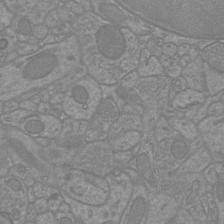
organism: Mouse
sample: Cortical neurons